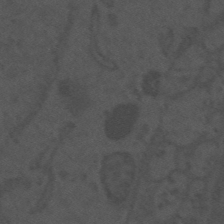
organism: Mouse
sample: Suprachiasmatic nucleus